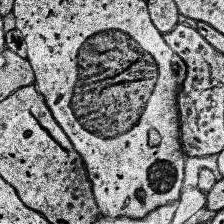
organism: Human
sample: Temporal Lobe